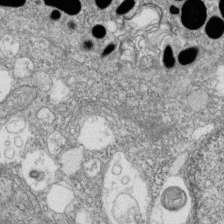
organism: Zebrafish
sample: Cilia; retinal pigment epithelium